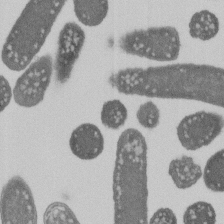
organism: E. coli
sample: Bacterial nucleoid